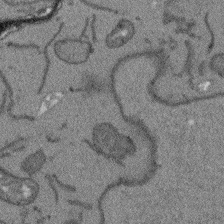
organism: Arabidopsis thaliana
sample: Root tip